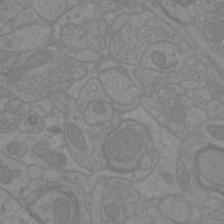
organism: Mouse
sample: Cortical neurons